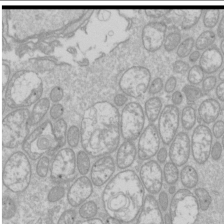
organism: Drosophila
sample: Cell division; meiosis; drosophila spermatocytes